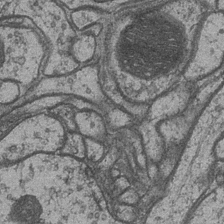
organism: Drosophila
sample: Optic medulla